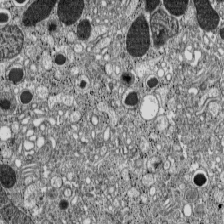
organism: C57BL Mouse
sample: Pancreatic islet